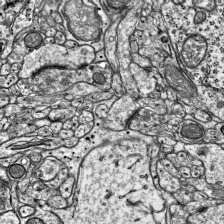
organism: Mouse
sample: Visual Cortex